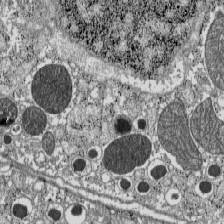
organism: C57BL Mouse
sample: Pancreatic islet